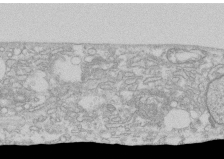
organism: Human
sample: CRL-1474